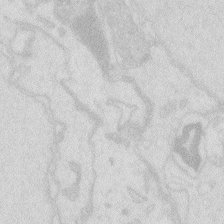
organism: Zebrafish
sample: Macrophage